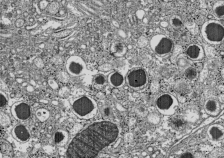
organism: C57BL Mouse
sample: Pancreatic islet